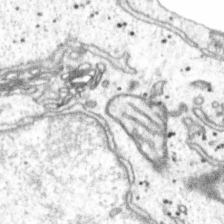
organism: Human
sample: HeLa cells